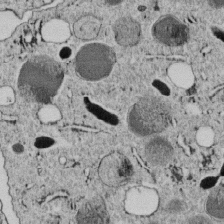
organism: C. elegans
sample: C. elegans embryo early stage